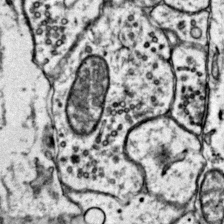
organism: Mouse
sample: Primary visual cortex